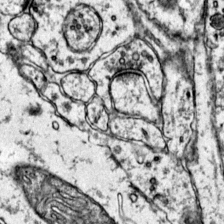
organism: Mouse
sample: Primary visual cortex